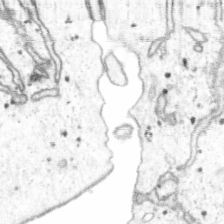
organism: Human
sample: HeLa cells